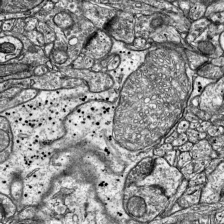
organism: Mouse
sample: Visual Cortex